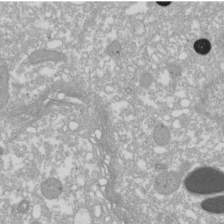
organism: Xenopus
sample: Cilia; centrioles in frog embryo cells